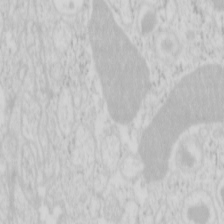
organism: Mouse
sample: Pancreas